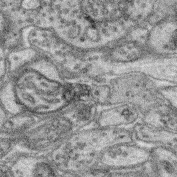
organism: Mouse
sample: Retina